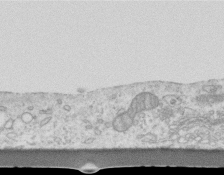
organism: Mouse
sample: Centriole in ependymal cells